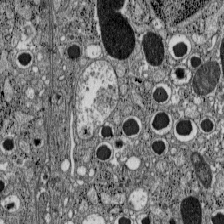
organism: C57BL Mouse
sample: Pancreatic islet